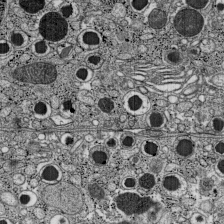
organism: C57BL Mouse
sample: Pancreatic islet